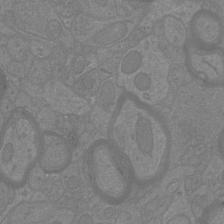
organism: Mouse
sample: Cortical neurons